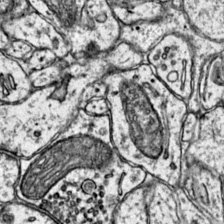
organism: Mouse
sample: Primary visual cortex